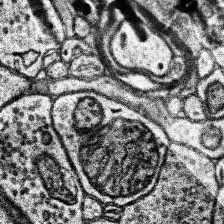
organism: Human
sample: Temporal Lobe